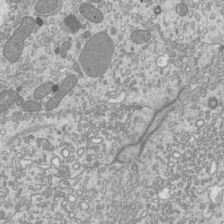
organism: Mouse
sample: Cilia; mouse epididymis